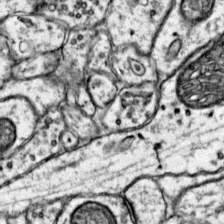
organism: Mouse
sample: Primary visual cortex